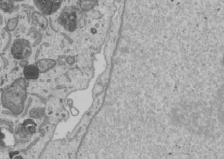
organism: Human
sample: Mitochondria in U2OS cells